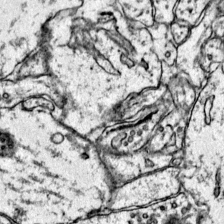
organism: Mouse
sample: Primary visual cortex